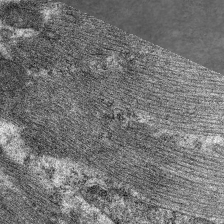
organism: C. elegans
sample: Pharynx